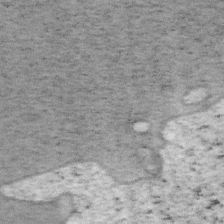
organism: Mouse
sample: OT-I killer T cells with ID8 ovarian cancer cells